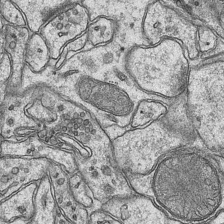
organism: Mouse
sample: CA1 Hippocampus